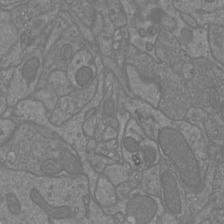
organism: Mouse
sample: Cortical neurons